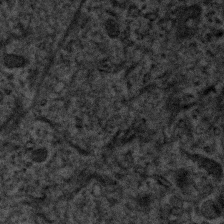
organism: Human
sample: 1205lu cells